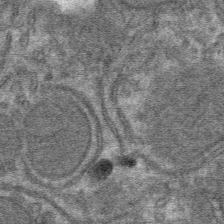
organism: Mouse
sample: Mouse hepatocytes